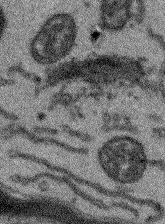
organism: Arabidopsis thaliana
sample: Root tip